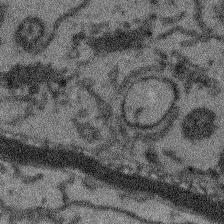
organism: Arabidopsis thaliana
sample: Root tip